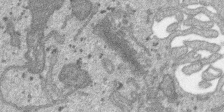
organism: Human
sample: Lung epithelial cells infected with SARS-CoV-2